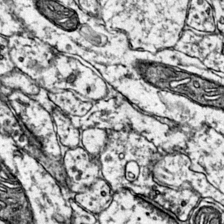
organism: Mouse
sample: Primary visual cortex